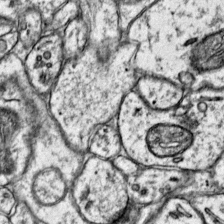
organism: Mouse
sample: Primary visual cortex